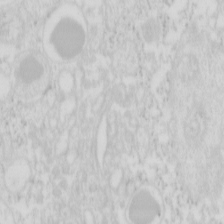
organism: Mouse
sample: Pancreas